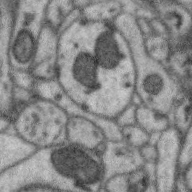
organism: Zebra finch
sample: Brain